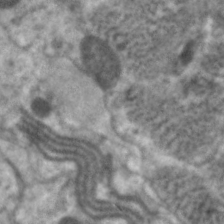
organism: C. elegans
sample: Pharynx